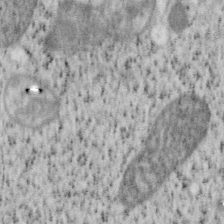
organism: Mouse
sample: OT-I killer T cells with ID8 ovarian cancer cells